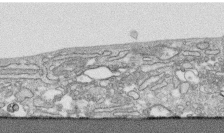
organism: Human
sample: CRL-1474